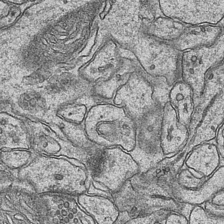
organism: Mouse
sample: CA1 Hippocampus